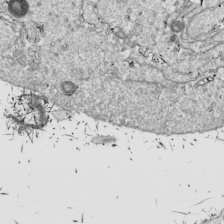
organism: Drosophila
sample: Cell division; meiosis; drosophila spermatocytes